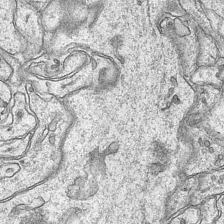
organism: Mouse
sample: CA1 Hippocampus